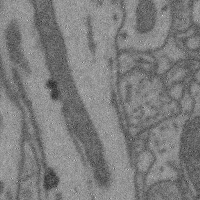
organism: Mouse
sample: Cerebral cortex